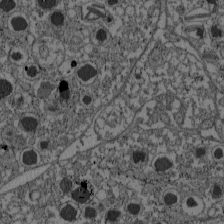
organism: C57BL Mouse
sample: Pancreatic islet